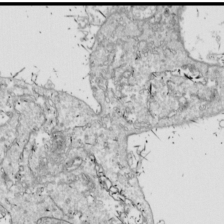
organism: Drosophila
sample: Cell division; meiosis; drosophila spermatocytes